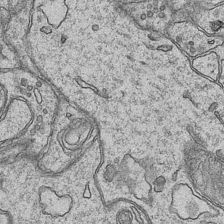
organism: Mouse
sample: CA1 Hippocampus